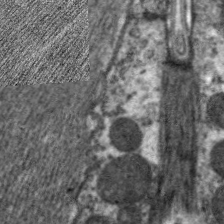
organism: C. elegans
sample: Pharynx